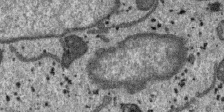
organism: Human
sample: Lung epithelial cells, uninfected (mock) control